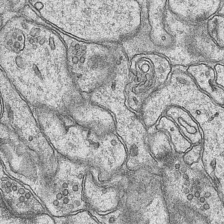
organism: Mouse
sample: CA1 Hippocampus